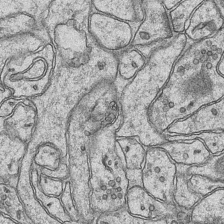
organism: Mouse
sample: CA1 Hippocampus